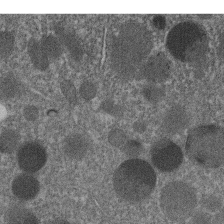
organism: C. elegans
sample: C. elegans embryo early stage